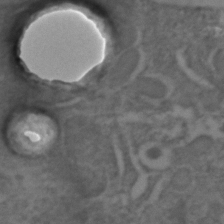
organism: C. elegans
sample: C. elegans embryo